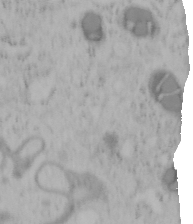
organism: Mouse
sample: OT-I killer T cells with ID8 ovarian cancer cells